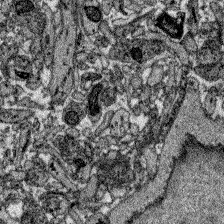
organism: Zebrafish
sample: Larval olfactory bulb